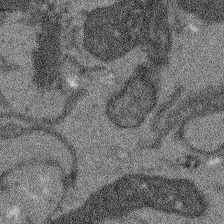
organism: Arabidopsis thaliana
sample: Root tip